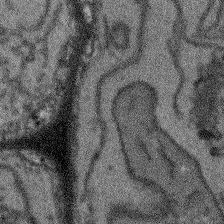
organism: Arabidopsis thaliana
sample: Root tip